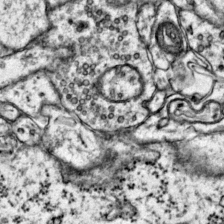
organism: Mouse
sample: Primary visual cortex